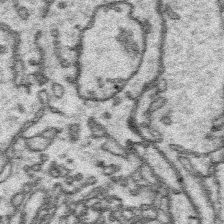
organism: Platynereis dumerilii